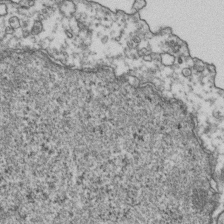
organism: Human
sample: Activated Jurkat CD4+ T cells